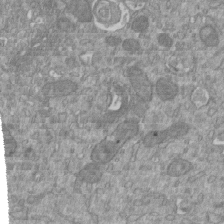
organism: Mouse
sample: ED-1 cell nuclei; centrioles